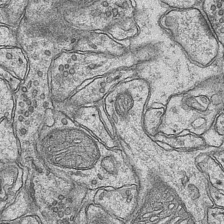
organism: Mouse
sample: CA1 Hippocampus